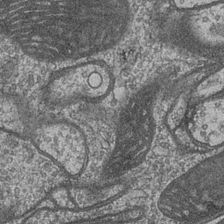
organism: Drosophila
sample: Optic medulla